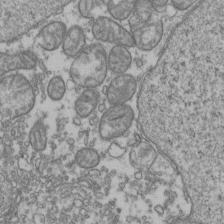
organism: Human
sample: Activated Jurkat CD4+ T cells